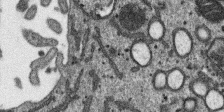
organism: Human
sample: Lung epithelial cells infected with SARS-CoV-2